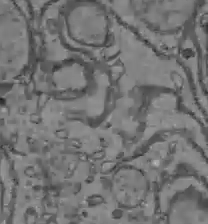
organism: C57BL Mouse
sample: Liver